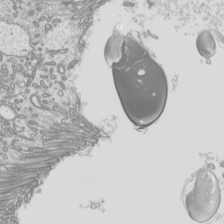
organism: Mouse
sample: Cilia; mouse epididymis